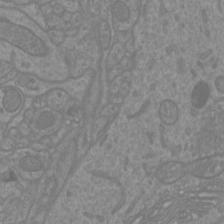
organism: Mouse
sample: Cortical neurons